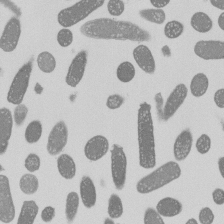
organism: E. coli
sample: Bacterial nucleoid